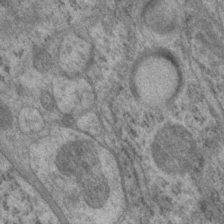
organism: P. pacificus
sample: Pharynx